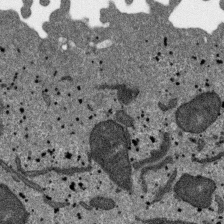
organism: Human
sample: Lung epithelial cells, uninfected (mock) control